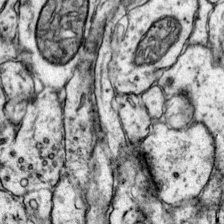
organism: Mouse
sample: Primary visual cortex